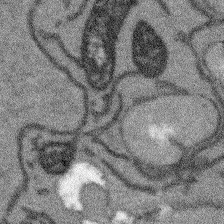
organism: Arabidopsis thaliana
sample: Root tip